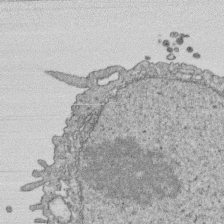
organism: Human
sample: HeLa cell HIV synapse